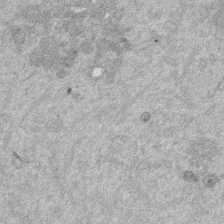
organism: Mouse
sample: Dividing mouse embryo 1 cell stage